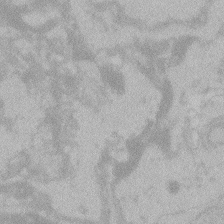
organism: Zebrafish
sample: Macrophage infected with Toxoplasma gondii